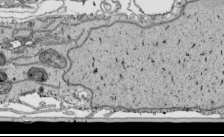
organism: Human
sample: Mitochondria in HCT116 cells